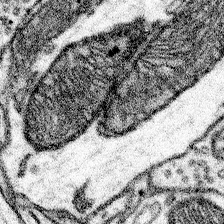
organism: Mouse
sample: Somatosensory cortex neuropil